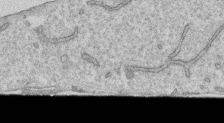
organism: Human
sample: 1205lu cells